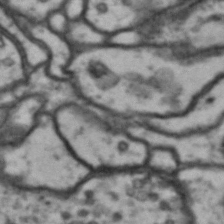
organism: Drosophila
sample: Brain